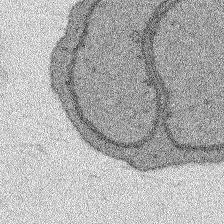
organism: Human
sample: HeLa cells